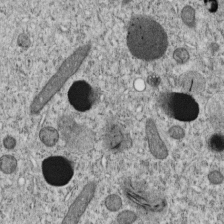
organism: C. elegans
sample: C. elegans embryo early stage